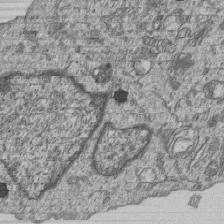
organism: Human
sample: MDA-MB-231 cells